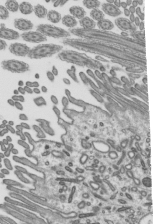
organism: Mouse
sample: Mouse epididymis efferent ductule cilia